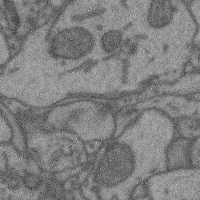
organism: Mouse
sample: Cerebral cortex